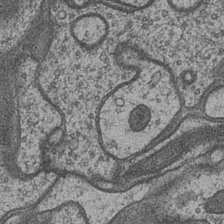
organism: Drosophila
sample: Optic medulla